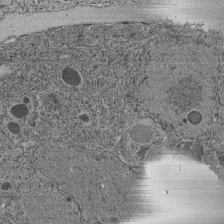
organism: C. elegans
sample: C. elegans pharynx